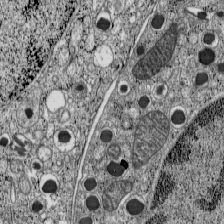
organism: C57BL Mouse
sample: Pancreatic islet